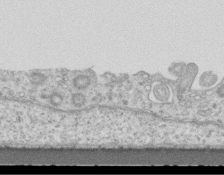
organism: Mouse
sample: Centriole in ependymal cells